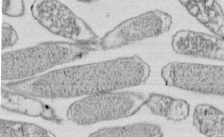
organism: E. coli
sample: Bacterial nucleoid